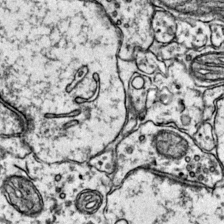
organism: Mouse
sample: Primary visual cortex